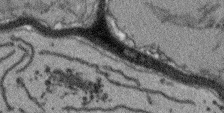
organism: Arabidopsis thaliana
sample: Root tip